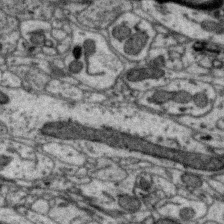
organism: Zebra finch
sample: Brain